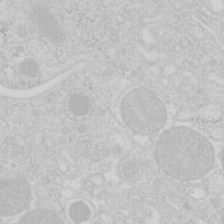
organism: Mouse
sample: Pancreas